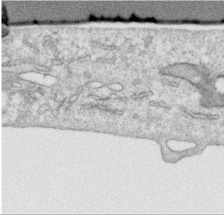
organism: Human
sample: Centriole in RPE cells